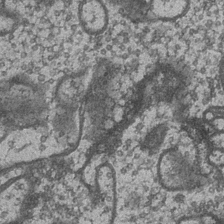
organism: Drosophila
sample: Optic medulla